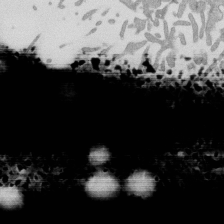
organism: Mouse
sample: ED-1 cell nuclei; centrioles